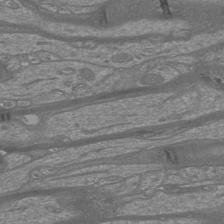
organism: Mouse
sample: Cortical neurons